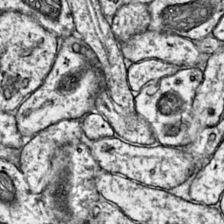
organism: Mouse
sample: Primary visual cortex